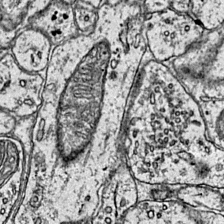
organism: Mouse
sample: Primary visual cortex